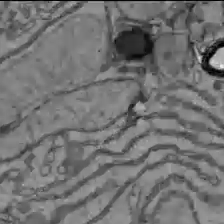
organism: C57BL Mouse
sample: Liver